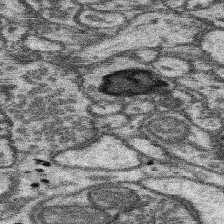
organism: Mouse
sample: Somatosensory cortex neuropil